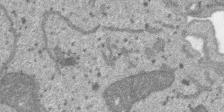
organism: Human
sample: Lung epithelial cells infected with SARS-CoV-2